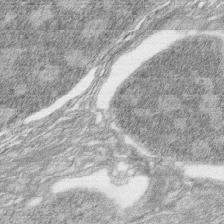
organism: Zebrafish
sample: synaptic ribbons in rod cells and cone cells